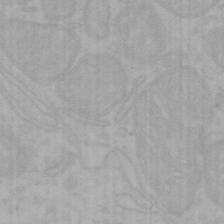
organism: Mouse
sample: Choroid plexus